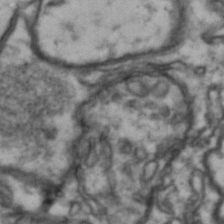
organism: Drosophila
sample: Brain